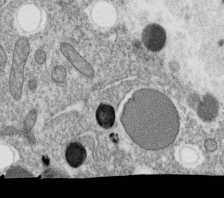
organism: C. elegans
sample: C. elegans oocyte; sperm cells